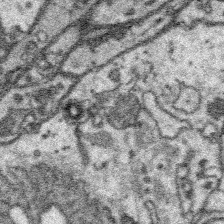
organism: Platynereis dumerilii